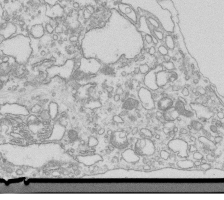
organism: Mouse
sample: Macrophages